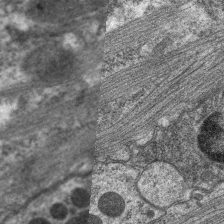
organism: C. elegans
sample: Pharynx